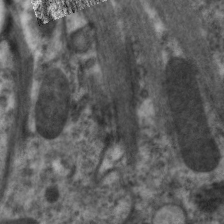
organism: C. elegans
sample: Pharynx